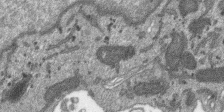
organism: Human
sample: Lung epithelial cells infected with SARS-CoV-2